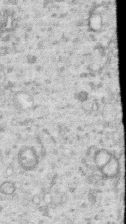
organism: Human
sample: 1205lu cells